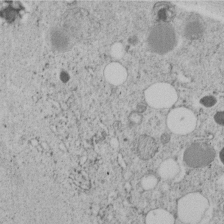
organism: C. elegans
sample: C. elegans embryo early stage